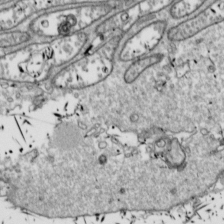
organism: Drosophila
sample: Cell division; meiosis; drosophila spermatocytes